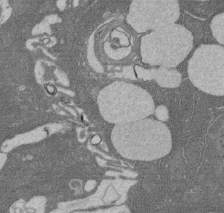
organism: Rat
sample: Salivary granule